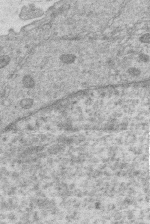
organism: Human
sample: Macrophage cells